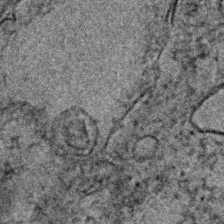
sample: Trachea